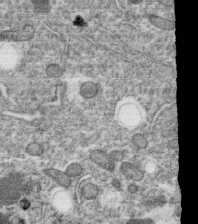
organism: C. elegans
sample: C. elegans oocyte; sperm cells